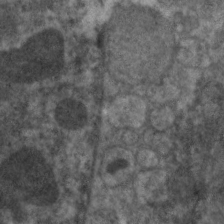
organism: C. elegans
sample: Pharynx